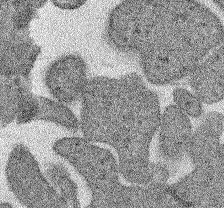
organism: Human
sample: HeLa cells